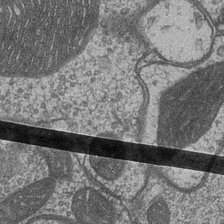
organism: Drosophila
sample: Optic medulla